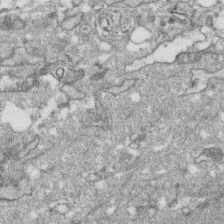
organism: Human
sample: CRL-1474